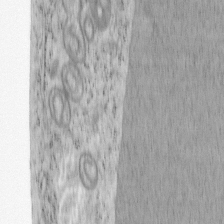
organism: Human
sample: HeLa cells